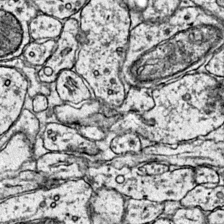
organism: Mouse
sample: Primary visual cortex